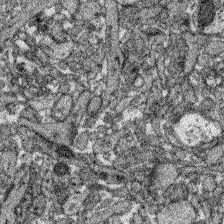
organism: Zebrafish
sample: Larval olfactory bulb